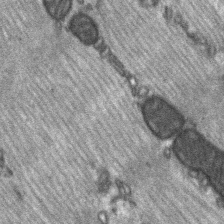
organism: C57BL Mouse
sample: Soleus